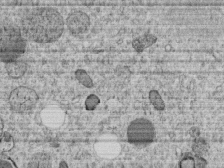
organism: C. elegans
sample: C. elegans embryo early stage